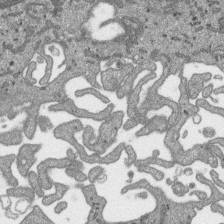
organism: Human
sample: Lung epithelial cells infected with SARS-CoV-2